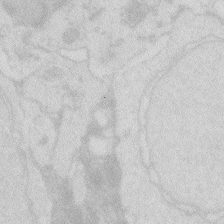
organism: Zebrafish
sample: Macrophage